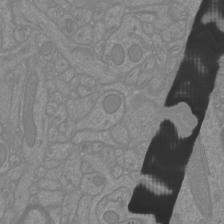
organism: Mouse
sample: Cortical neurons